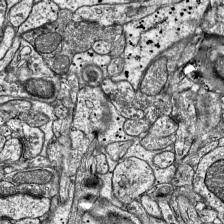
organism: Mouse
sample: Visual Cortex